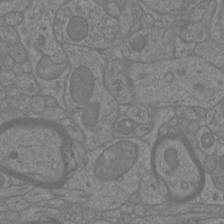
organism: Mouse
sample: Cortical neurons